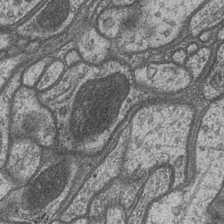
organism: Drosophila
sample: Optic medulla